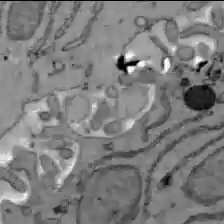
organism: C57BL Mouse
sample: Liver